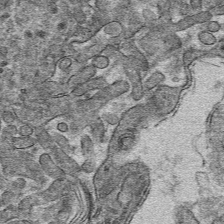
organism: Mouse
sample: Mouse hepatocytes